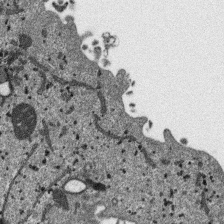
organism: Human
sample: Lung epithelial cells infected with SARS-CoV-2